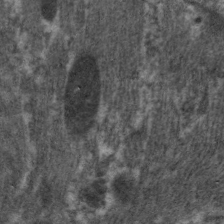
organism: C. elegans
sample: Pharynx